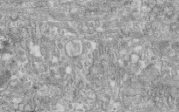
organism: Human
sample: Centriole in fibroblast cells